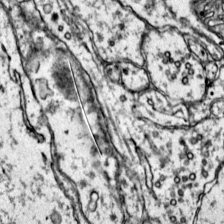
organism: Mouse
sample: Primary visual cortex